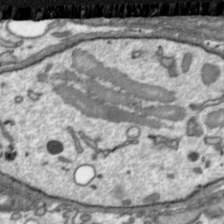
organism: Toxoplasma gondii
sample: Parasites in a vacuole inside a host cell